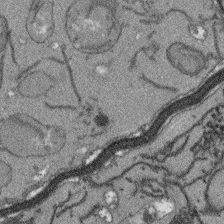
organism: Arabidopsis thaliana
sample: Root tip